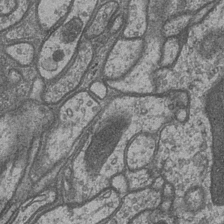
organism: Drosophila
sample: Optic medulla